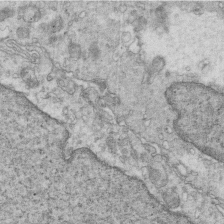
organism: Mouse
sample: Multiciliated cells